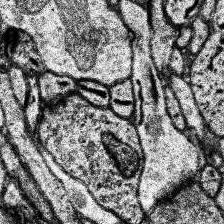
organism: Human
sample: Temporal Lobe